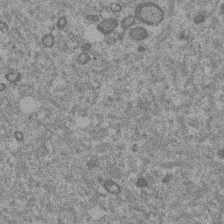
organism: Mouse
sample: Dividing mouse embryo 1 cell stage